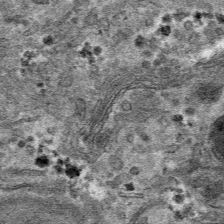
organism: Mouse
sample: Mouse hepatocytes